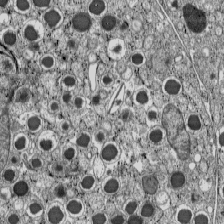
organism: C57BL Mouse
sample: Pancreatic islet